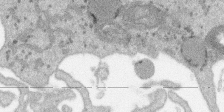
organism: Human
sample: Lung epithelial cells infected with SARS-CoV-2